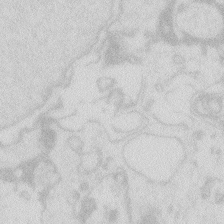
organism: Zebrafish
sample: Macrophage